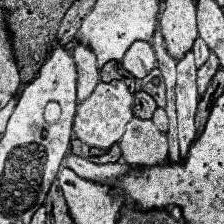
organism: Human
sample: Temporal Lobe